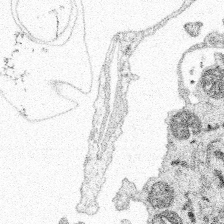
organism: Spongilla lacustris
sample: Multiple